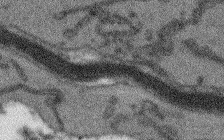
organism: Arabidopsis thaliana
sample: Root tip